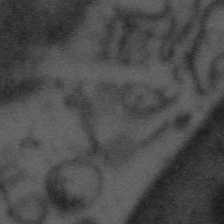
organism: Tuwongella immobilis